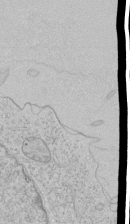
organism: Human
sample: Mitochondria in HCT116 cells